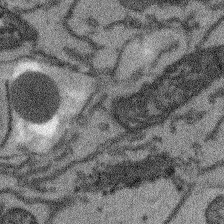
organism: Arabidopsis thaliana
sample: Root tip